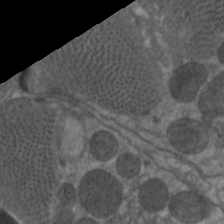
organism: C. elegans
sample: Pharynx